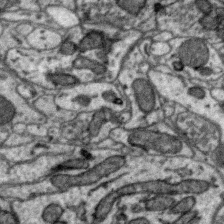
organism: Zebra finch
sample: Brain